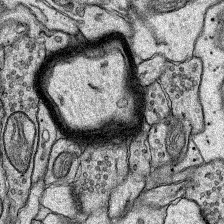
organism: Rat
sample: Hippocampus